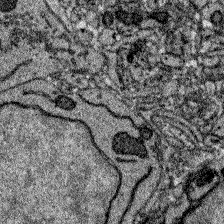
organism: Zebrafish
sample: Larval olfactory bulb